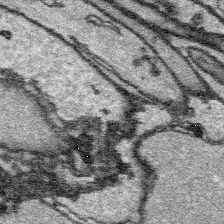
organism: Platynereis dumerilii